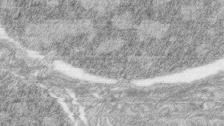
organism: Zebrafish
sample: synaptic ribbons in rod cells and cone cells